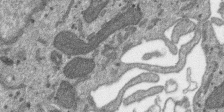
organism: Human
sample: Lung epithelial cells infected with SARS-CoV-2